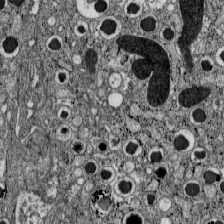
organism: C57BL Mouse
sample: Pancreatic islet